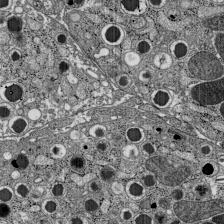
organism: C57BL Mouse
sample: Pancreatic islet